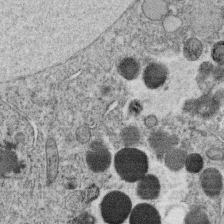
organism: C. elegans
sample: C. elegans oocyte; sperm cells